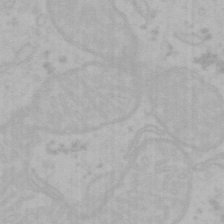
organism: Mouse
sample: Choroid plexus